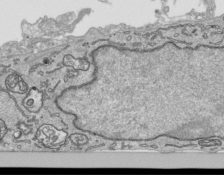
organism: Human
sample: Mitochondria in HCT116 cells